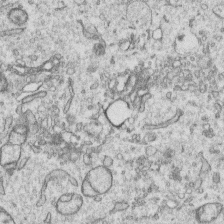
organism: Human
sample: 1205lu cells